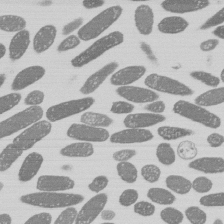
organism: E. coli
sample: Bacterial nucleoid